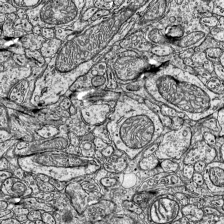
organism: Mouse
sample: Visual Cortex